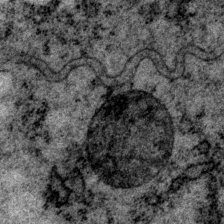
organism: P. pacificus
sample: Pharynx